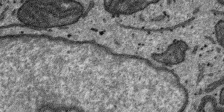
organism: Human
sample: Lung epithelial cells, uninfected (mock) control